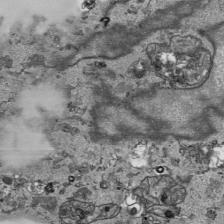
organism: Human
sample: Mitochondria in HCT116 cells